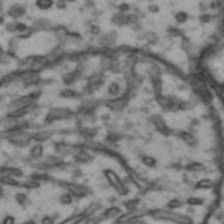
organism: Drosophila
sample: Brain